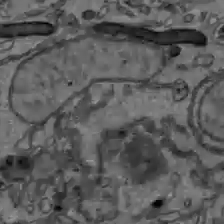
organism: C57BL Mouse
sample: Liver